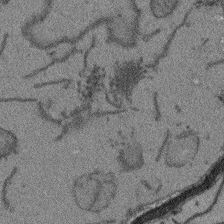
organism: Arabidopsis thaliana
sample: Root tip